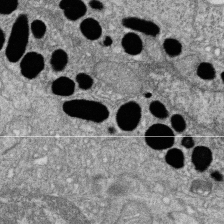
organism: Zebrafish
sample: Cilia; retinal pigment epithelium